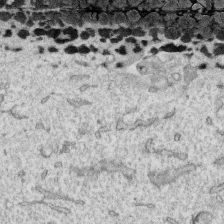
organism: Human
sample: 1205lu cells